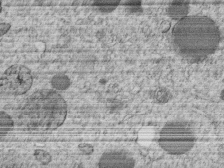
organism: C. elegans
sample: C. elegans embryo early stage